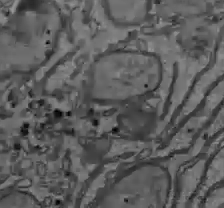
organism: C57BL Mouse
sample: Liver